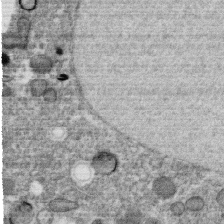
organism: C. elegans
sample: C. elegans oocyte; sperm cells